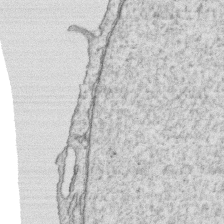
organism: Human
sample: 1205lu cells